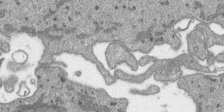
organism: Human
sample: Lung epithelial cells infected with SARS-CoV-2